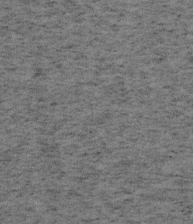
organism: Mouse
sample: OT-I killer T cells with ID8 ovarian cancer cells